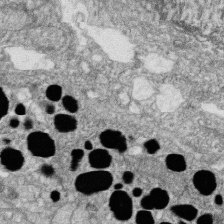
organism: Zebrafish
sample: Cilia; retinal pigment epithelium